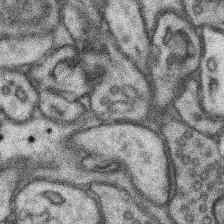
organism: Mouse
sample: Somatosensory cortex neuropil